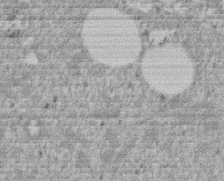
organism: Mouse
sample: Dividing mouse embryo 1 cell stage